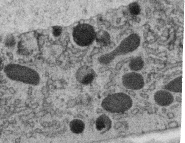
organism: C. elegans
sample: C. elegans oocyte; sperm cells